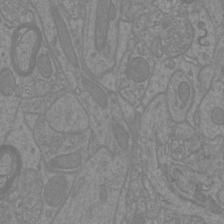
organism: Mouse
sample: Cortical neurons